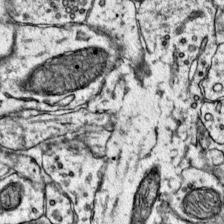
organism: Mouse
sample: Primary visual cortex